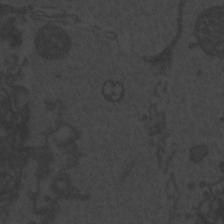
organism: Zebrafish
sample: Macrophage infected with Toxoplasma gondii